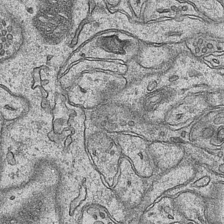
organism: Mouse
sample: CA1 Hippocampus